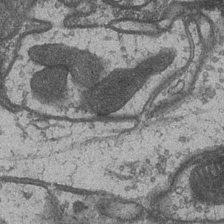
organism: Drosophila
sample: Optic medulla